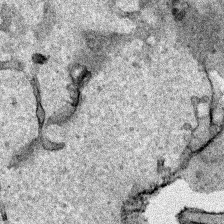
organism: Human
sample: Mitochondria in HCT116 cells